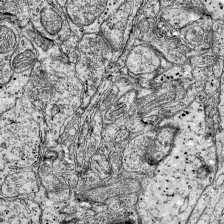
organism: Mouse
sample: Visual Cortex